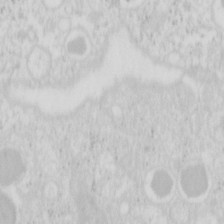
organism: Mouse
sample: Pancreas